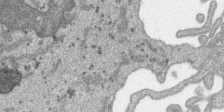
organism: Human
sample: Lung epithelial cells infected with SARS-CoV-2